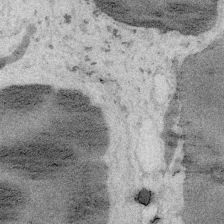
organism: Embia sp.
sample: Silk gland